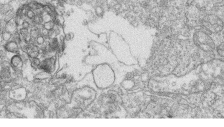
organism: Human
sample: HeLa cell HIV synapse